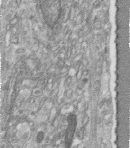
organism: Human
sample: Centriole in fibroblast cells